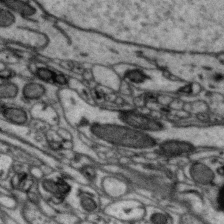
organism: Zebra finch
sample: Brain